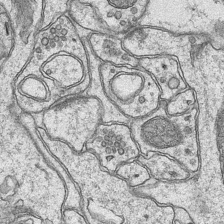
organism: Mouse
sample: CA1 Hippocampus